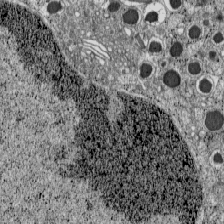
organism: C57BL Mouse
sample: Pancreatic islet